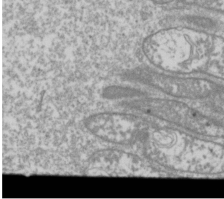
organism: Drosophila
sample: Cell division; meiosis; drosophila spermatocytes